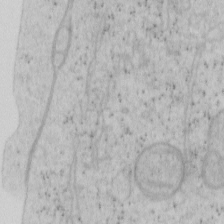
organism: Human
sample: HeLa cells